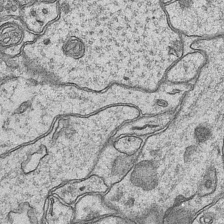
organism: Mouse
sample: CA1 Hippocampus